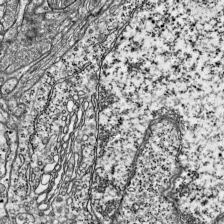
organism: Mouse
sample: Visual Cortex